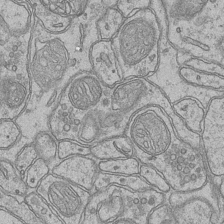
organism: Mouse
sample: CA1 Hippocampus